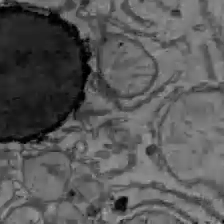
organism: C57BL Mouse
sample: Liver